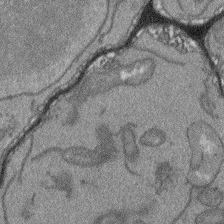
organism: Arabidopsis thaliana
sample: Root tip